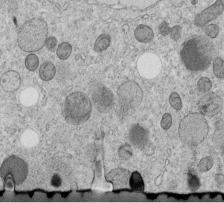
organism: C. elegans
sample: C. elegans embryo early stage